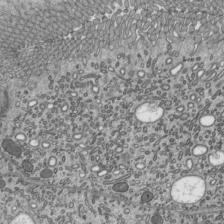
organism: Mouse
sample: Mouse epididymis efferent ductule cilia